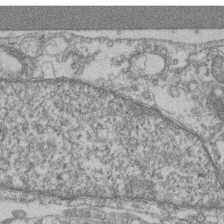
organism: Mouse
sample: T cell stromal cell synapse